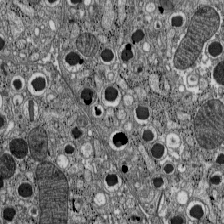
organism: C57BL Mouse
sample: Pancreatic islet